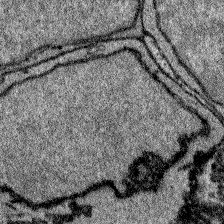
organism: Zebrafish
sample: Larval olfactory bulb